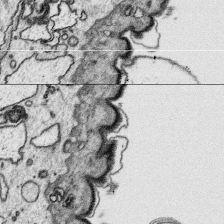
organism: Platynereis dumerilii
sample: Parapodia